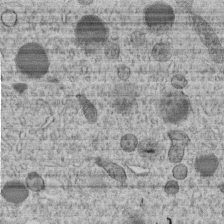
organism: C. elegans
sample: C. elegans embryo early stage